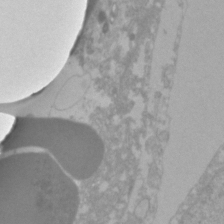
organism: Zebrafish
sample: Zebrafish embryo